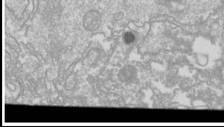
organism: Drosophila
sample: Cell division; meiosis; drosophila spermatocytes